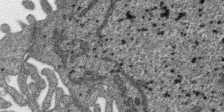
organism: Human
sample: Lung epithelial cells infected with SARS-CoV-2